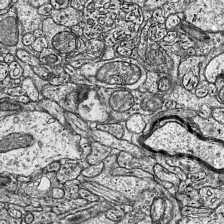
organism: Mouse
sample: Visual Cortex